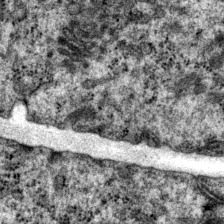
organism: P. pacificus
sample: Pharynx